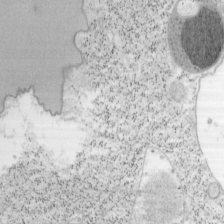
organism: Mouse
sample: OT-I killer T cells with ID8 ovarian cancer cells